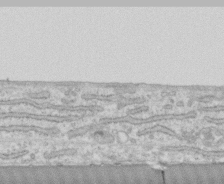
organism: Human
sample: CRL-1474